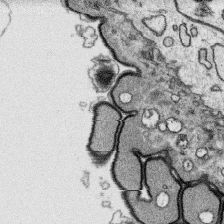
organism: Platynereis dumerilii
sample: Parapodia